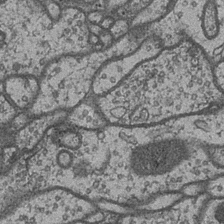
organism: Drosophila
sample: Optic medulla